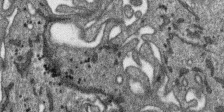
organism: Human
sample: Lung epithelial cells infected with SARS-CoV-2